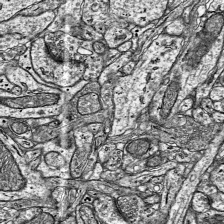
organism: Mouse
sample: Visual Cortex